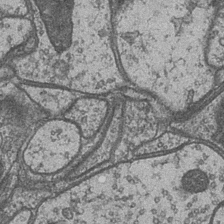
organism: Drosophila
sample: Optic medulla